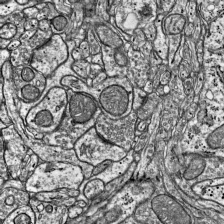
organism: Mouse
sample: Visual Cortex